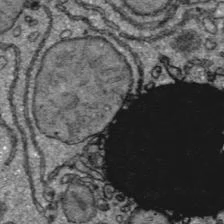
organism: C57BL Mouse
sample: Liver